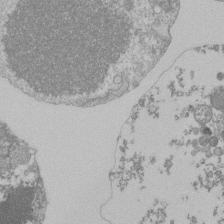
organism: Mouse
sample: Activated Pmel transgenic CD8+ T Cells